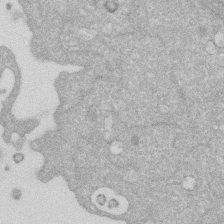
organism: Human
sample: HIV infected U937 cells